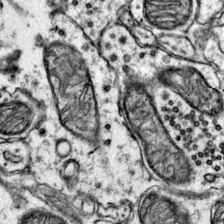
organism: Mouse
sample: Primary visual cortex